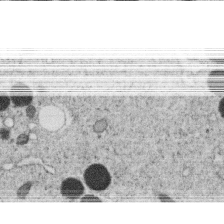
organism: C. elegans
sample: C. elegans oocyte; sperm cells